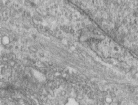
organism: Human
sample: Centriole in RPE cells